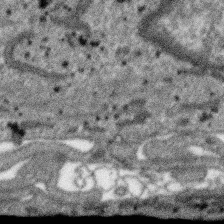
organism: Human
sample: Lung epithelial cells infected with SARS-CoV-2